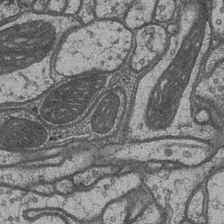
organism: Drosophila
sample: Optic medulla